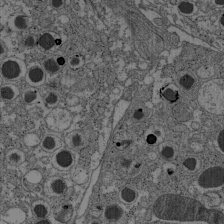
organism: C57BL Mouse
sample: Pancreatic islet